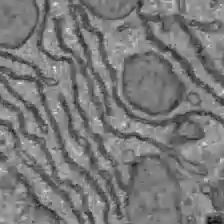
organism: C57BL Mouse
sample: Liver